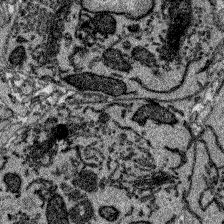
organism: Zebrafish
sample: Larval olfactory bulb